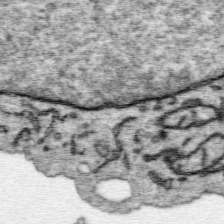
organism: Human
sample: HeLa cells